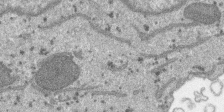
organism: Human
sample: Lung epithelial cells infected with SARS-CoV-2